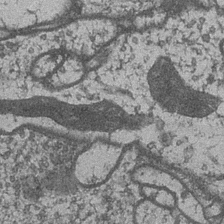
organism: Drosophila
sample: Optic medulla